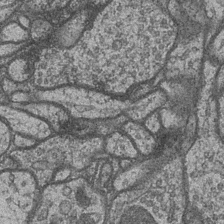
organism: Drosophila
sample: Optic medulla